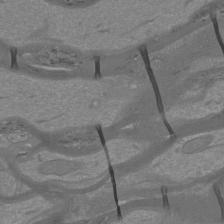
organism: Mouse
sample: Cortical neurons